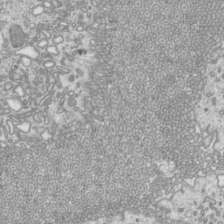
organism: Mouse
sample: Cilia; mouse epididymis